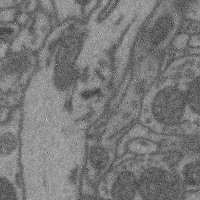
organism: Mouse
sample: Cerebral cortex